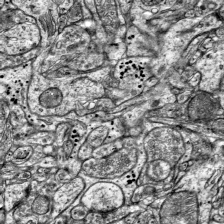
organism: Mouse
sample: Visual Cortex